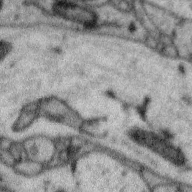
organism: Zebra finch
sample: Brain